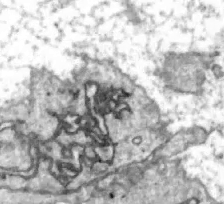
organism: Zebrafish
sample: Actinotrichia fibers